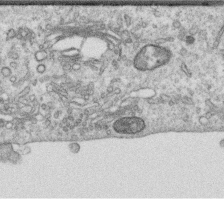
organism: Human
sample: Centriole in RPE cells